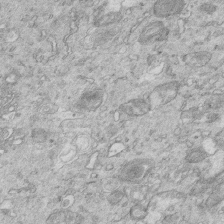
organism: Mouse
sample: Multiciliated cells